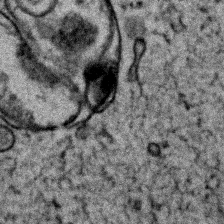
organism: Zebrafish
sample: Zebrafish embryo